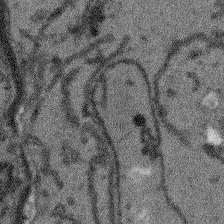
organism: Arabidopsis thaliana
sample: Root tip